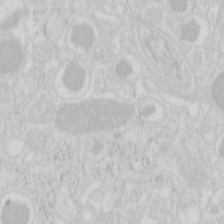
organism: Mouse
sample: Pancreas